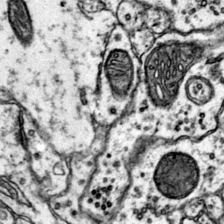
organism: Mouse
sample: Primary visual cortex